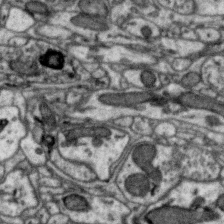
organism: Zebra finch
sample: Brain